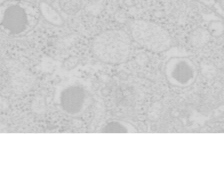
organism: Mouse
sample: Pancreas